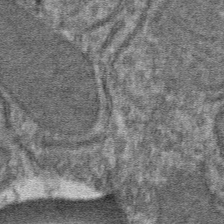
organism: Mouse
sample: Mouse hepatocytes